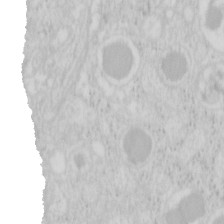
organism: Mouse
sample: Pancreas